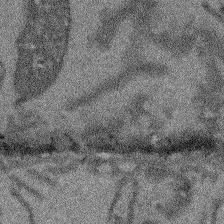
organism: Arabidopsis thaliana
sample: Root tip